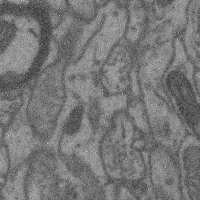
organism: Mouse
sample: Cerebral cortex